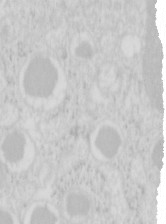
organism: Mouse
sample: Pancreas